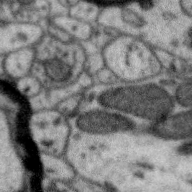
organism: Zebra finch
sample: Brain